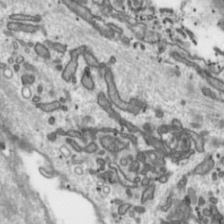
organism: Toxoplasma gondii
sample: Parasites in a vacuole inside a host cell